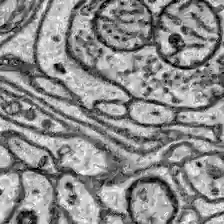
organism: Zebrafish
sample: Brain